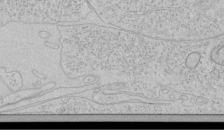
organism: Human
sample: Mitochondria in HCT116 cells